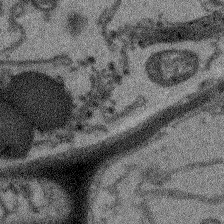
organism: Arabidopsis thaliana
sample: Root tip